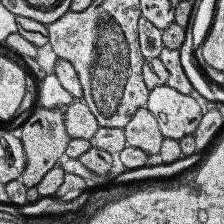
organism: Human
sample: Temporal Lobe